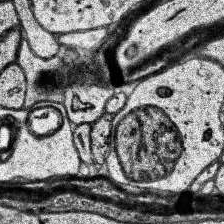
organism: Human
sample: Temporal Lobe